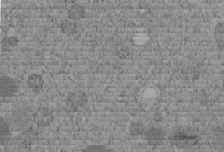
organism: C. elegans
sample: C. elegans embryo early stage